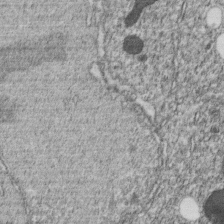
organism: C. elegans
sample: C. elegans embryo early stage